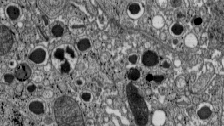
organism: C57BL Mouse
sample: Pancreatic islet